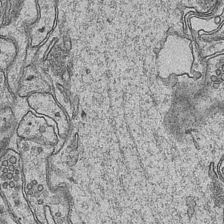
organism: Mouse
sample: CA1 Hippocampus